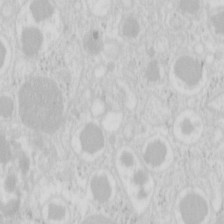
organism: Mouse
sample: Pancreas